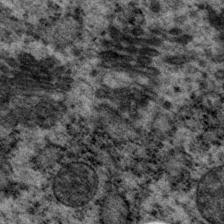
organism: P. pacificus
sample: Pharynx